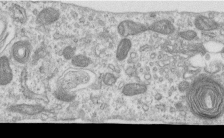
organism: Human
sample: Centriole in RPE cells